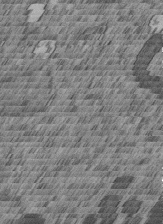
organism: C. elegans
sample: C. elegans embryo early stage